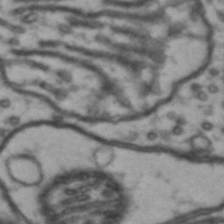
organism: Drosophila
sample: Brain